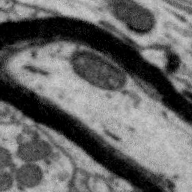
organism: Zebra finch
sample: Brain